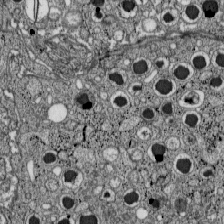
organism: C57BL Mouse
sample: Pancreatic islet